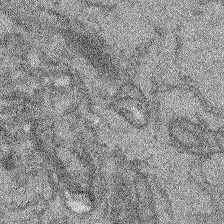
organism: Human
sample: HeLa cells